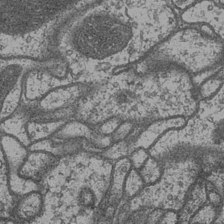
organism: Drosophila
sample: Optic medulla